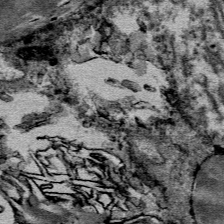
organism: Mouse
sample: Mouse Salivary gland